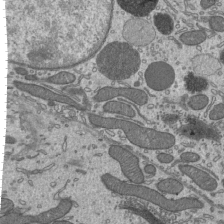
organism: Mouse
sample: Mouse epididymis efferent ductule cilia